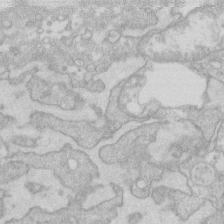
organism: Human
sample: Fibroblast cells